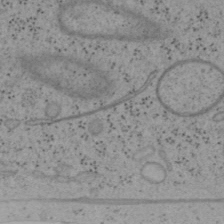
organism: Human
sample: HeLa cells